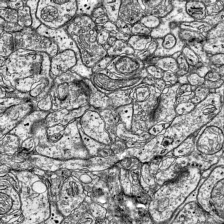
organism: Mouse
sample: Visual Cortex